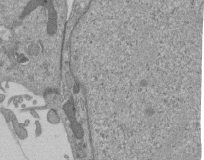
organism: Mouse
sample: ED-1 cell nuclei; centrioles